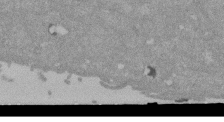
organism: Mouse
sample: ED-1 cell nuclei; centrioles